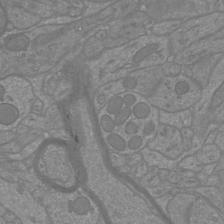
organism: Mouse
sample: Cortical neurons